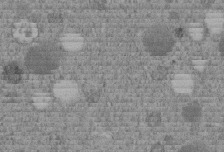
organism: C. elegans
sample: C. elegans embryo early stage